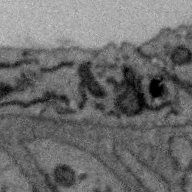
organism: Zebra finch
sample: Brain